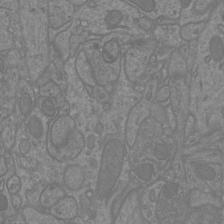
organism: Mouse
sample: Cortical neurons